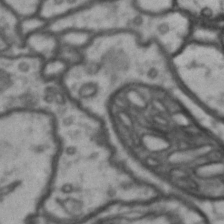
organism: Drosophila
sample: Brain